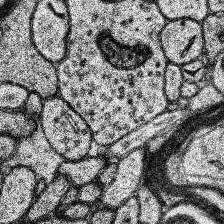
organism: Human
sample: Temporal Lobe